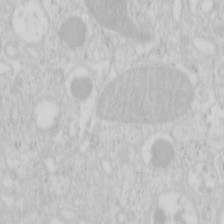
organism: Mouse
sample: Pancreas